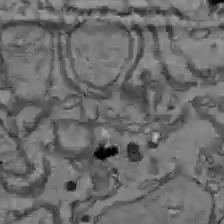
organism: C57BL Mouse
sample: Liver